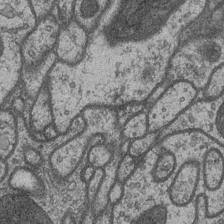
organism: Drosophila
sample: Optic medulla